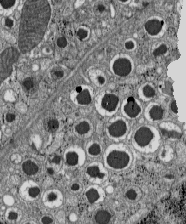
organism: C57BL Mouse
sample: Pancreatic islet